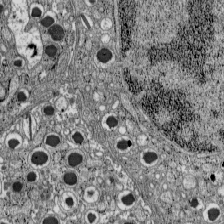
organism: C57BL Mouse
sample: Pancreatic islet